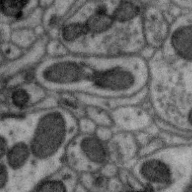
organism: Zebra finch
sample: Brain